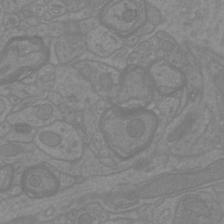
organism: Mouse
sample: Cortical neurons